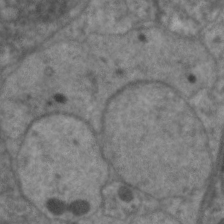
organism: C. elegans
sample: Pharynx